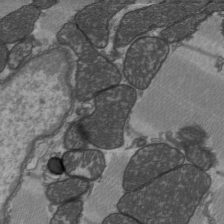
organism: C57BL Mouse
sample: Heart